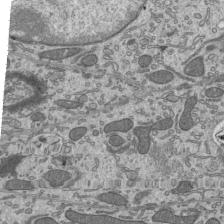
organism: Mouse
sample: Mouse epididymis efferent ductule cilia